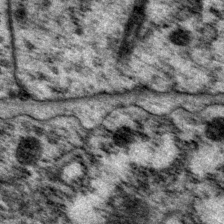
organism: P. pacificus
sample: Pharynx